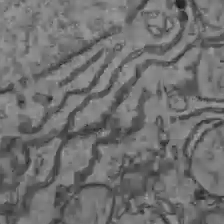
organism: C57BL Mouse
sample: Liver